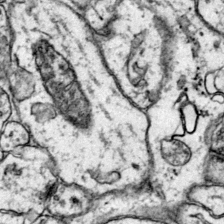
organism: Mouse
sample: Primary visual cortex